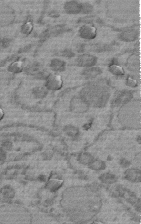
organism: C. elegans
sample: C. elegans embryo early stage